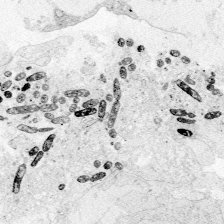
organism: Zebrafish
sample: Whole-Brain